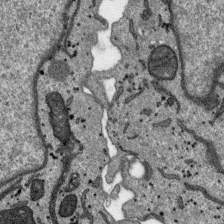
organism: Human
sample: Lung epithelial cells, uninfected (mock) control